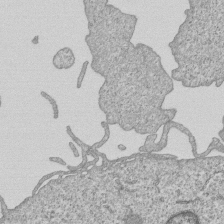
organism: Human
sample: MDA-MB-231 cells